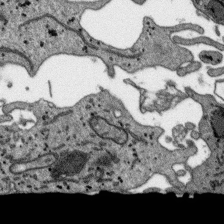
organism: Human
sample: Lung epithelial cells, uninfected (mock) control